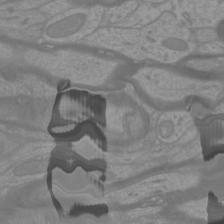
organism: Mouse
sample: Cortical neurons